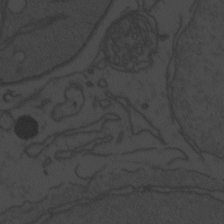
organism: Zebrafish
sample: Macrophage infected with Toxoplasma gondii